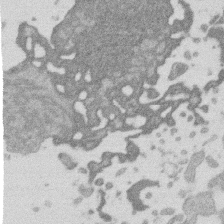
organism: Mouse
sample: Dividing mouse embryo 1 cell stage